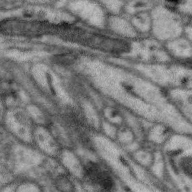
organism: Zebra finch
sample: Brain